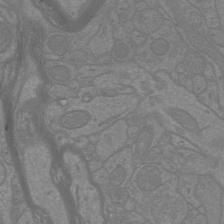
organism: Mouse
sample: Cortical neurons